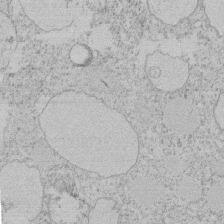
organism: Tetrahymena